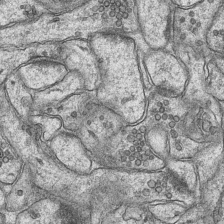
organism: Mouse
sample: CA1 Hippocampus